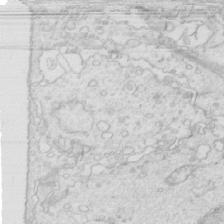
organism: Mouse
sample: Multiciliated cells